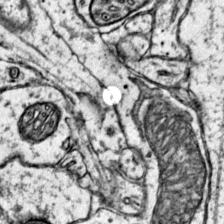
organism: Mouse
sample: Primary visual cortex